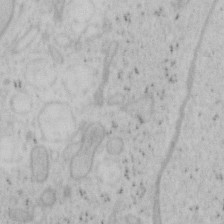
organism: Human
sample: HeLa cells